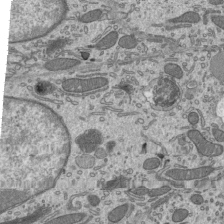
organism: Mouse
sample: Mouse epididymis efferent ductule cilia